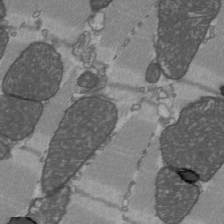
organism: C57BL Mouse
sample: Heart